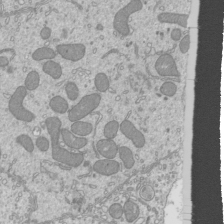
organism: Mouse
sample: Cilia; mouse epididymis